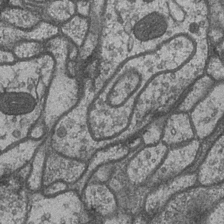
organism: Drosophila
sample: Optic medulla